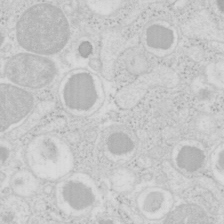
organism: Mouse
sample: Pancreas